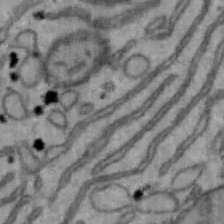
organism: Mouse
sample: Liver